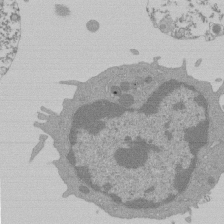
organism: Mouse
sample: Activated Pmel transgenic CD8+ T Cells